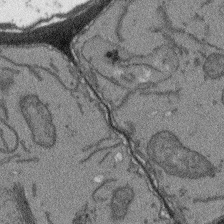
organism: Arabidopsis thaliana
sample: Root tip